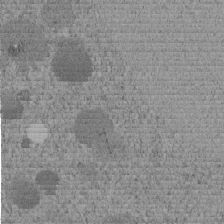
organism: C. elegans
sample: C. elegans embryo early stage